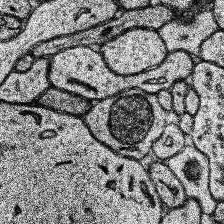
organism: Human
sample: Temporal Lobe